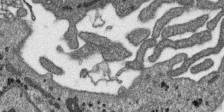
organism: Human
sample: Lung epithelial cells infected with SARS-CoV-2